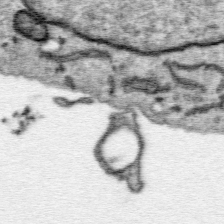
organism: Human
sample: HeLa cells